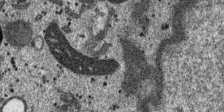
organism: Human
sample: Lung epithelial cells infected with SARS-CoV-2